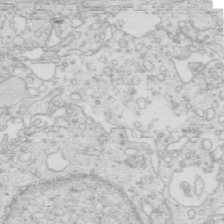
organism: Mouse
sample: Multiciliated cells